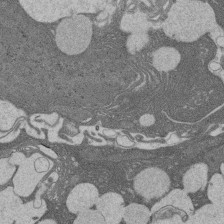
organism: Rat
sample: Salivary granule